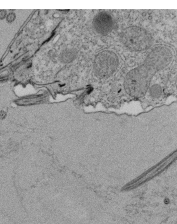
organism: Tetrahymena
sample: Cilia in tetrahymena